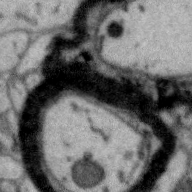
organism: Zebra finch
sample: Brain